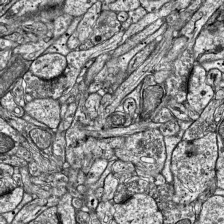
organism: Mouse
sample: Visual Cortex